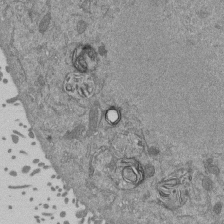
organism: Mouse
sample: ED-1 cell nuclei; centrioles